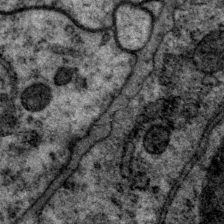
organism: P. pacificus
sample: Pharynx